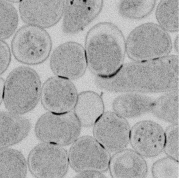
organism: E. coli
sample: Bacterial nucleoid